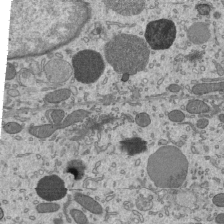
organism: Mouse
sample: Mouse epididymis efferent ductule cilia